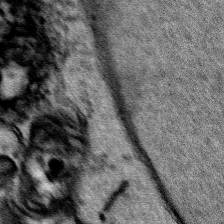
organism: Human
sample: Mitochondria in HCT116 cells